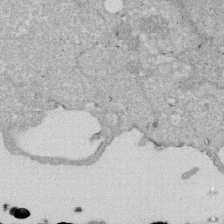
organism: Human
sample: HIV infected U937 cells